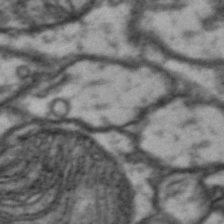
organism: Drosophila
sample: Brain